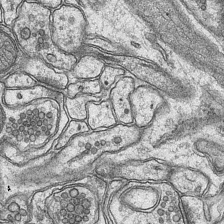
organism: Mouse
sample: CA1 Hippocampus